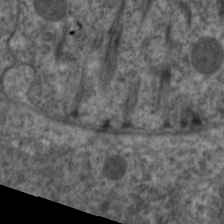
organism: C. elegans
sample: Pharynx